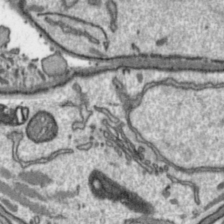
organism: Toxoplasma gondii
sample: Parasites in a vacuole inside a host cell